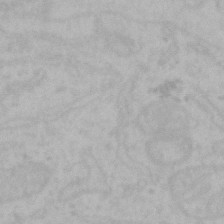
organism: Mouse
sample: Choroid plexus